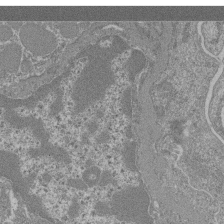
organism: Mouse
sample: Glomerulus